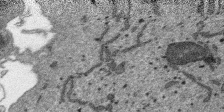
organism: Human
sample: Lung epithelial cells infected with SARS-CoV-2